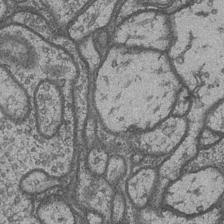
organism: Drosophila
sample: Optic medulla